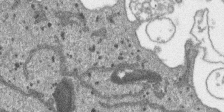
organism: Human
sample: Lung epithelial cells infected with SARS-CoV-2